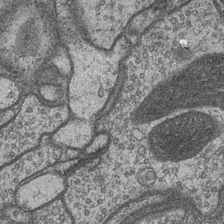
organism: Drosophila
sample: Optic medulla